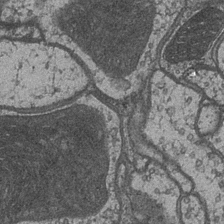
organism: Drosophila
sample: Optic medulla